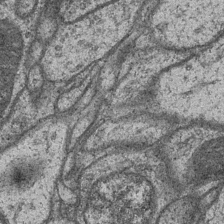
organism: Drosophila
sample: Optic medulla